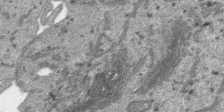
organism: Human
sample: Lung epithelial cells infected with SARS-CoV-2